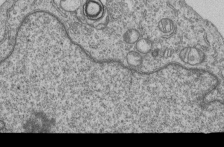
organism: Human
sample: MDA-MB-231 cells